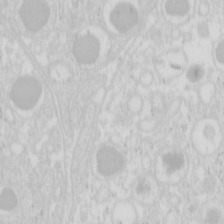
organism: Mouse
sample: Pancreas